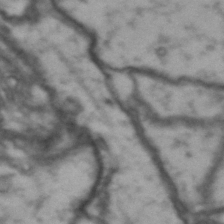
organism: Drosophila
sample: Brain